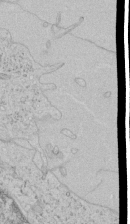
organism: Human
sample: Mitochondria in HCT116 cells